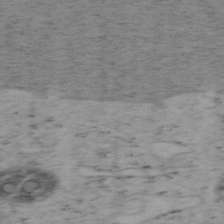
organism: Mouse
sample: OT-I killer T cells with ID8 ovarian cancer cells